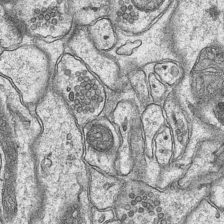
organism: Mouse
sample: CA1 Hippocampus